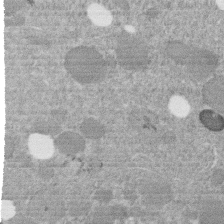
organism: C. elegans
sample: C. elegans embryo early stage